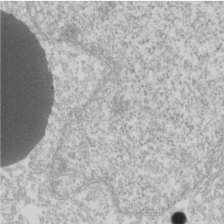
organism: Xenopus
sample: Cilia; centrioles in frog embryo cells